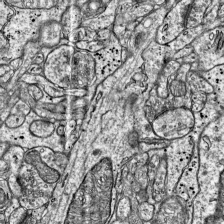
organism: Mouse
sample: Visual Cortex